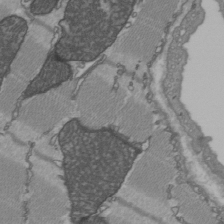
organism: C57BL Mouse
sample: Heart